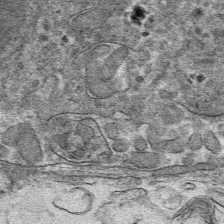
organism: Mouse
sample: Mouse hepatocytes